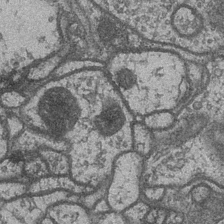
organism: Drosophila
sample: Optic medulla